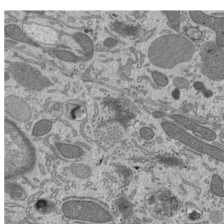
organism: Mouse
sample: Mouse epididymis efferent ductule cilia